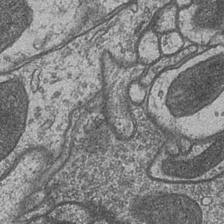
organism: Drosophila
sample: Optic medulla